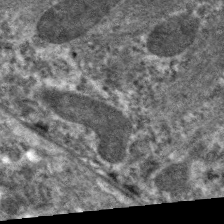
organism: C. elegans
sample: Pharynx